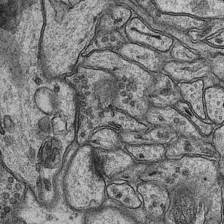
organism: Mouse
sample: CA1 Hippocampus